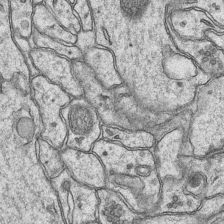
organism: Mouse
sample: CA1 Hippocampus